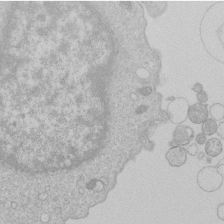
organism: Human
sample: Macrophage cells